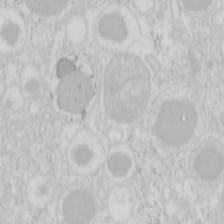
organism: Mouse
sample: Pancreas